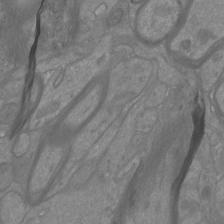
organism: Mouse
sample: Cortical neurons